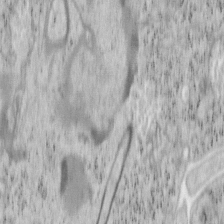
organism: Human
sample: HeLa cells